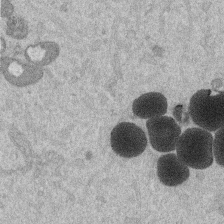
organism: Mouse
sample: Dividing mouse embryo 1 cell stage